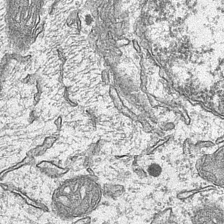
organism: Mouse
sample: CA1 Hippocampus